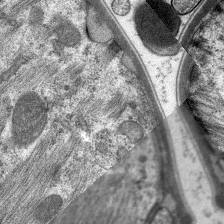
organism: C. elegans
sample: Pharynx